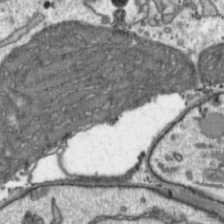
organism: Toxoplasma gondii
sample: Parasites in a vacuole inside a host cell